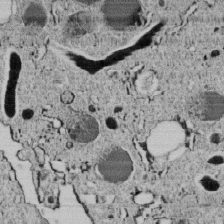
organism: C. elegans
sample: C. elegans embryo early stage